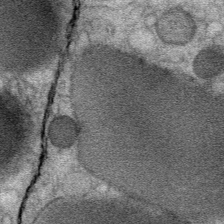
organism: Mouse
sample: Mouse Salivary gland